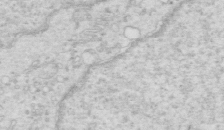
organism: Mouse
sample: Multiciliated cells